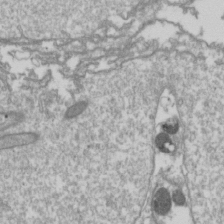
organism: Drosophila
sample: Cell division; meiosis; drosophila spermatocytes